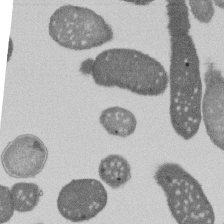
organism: E. coli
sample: Bacterial nucleoid